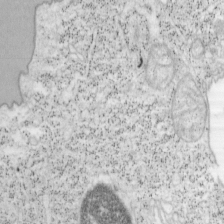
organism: Mouse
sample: OT-I killer T cells with ID8 ovarian cancer cells